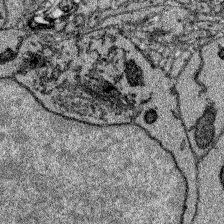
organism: Zebrafish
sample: Larval olfactory bulb